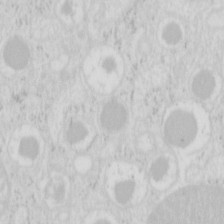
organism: Mouse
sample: Pancreas